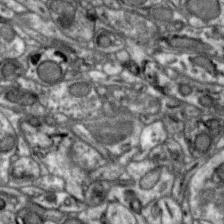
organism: Zebra finch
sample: Brain